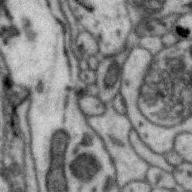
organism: Zebra finch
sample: Brain